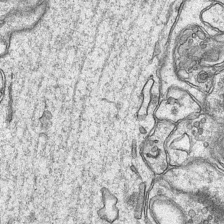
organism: Mouse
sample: CA1 Hippocampus